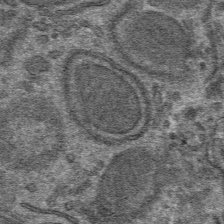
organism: Mouse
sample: Mouse hepatocytes